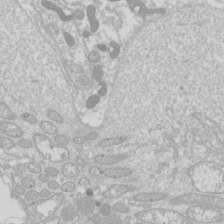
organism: Drosophila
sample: Cell division; meiosis; drosophila spermatocytes